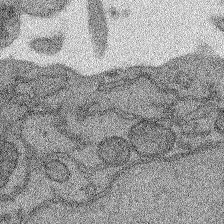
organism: Human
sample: HeLa cells